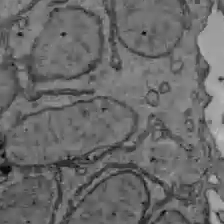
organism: C57BL Mouse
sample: Liver